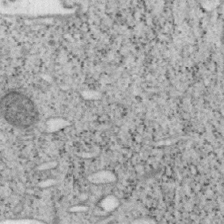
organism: Mouse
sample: OT-I killer T cells with ID8 ovarian cancer cells